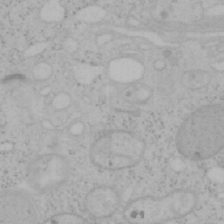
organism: Mouse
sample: OT-I killer T cells with ID8 ovarian cancer cells